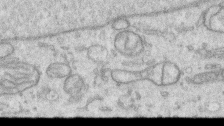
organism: Human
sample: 1205lu cells